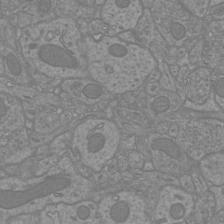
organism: Mouse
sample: Cortical neurons